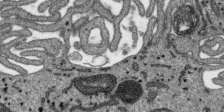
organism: Human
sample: Lung epithelial cells, uninfected (mock) control